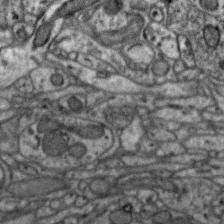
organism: Zebra finch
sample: Brain